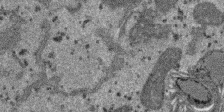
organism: Human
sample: Lung epithelial cells infected with SARS-CoV-2